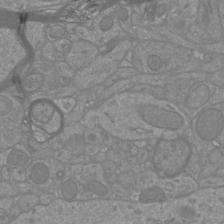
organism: Mouse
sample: Cortical neurons